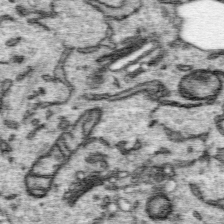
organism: Human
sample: HeLa cells